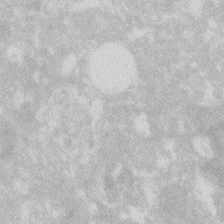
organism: Zebrafish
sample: Macrophage